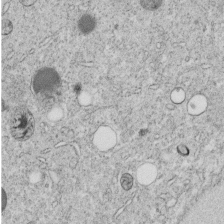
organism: C. elegans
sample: C. elegans embryo early stage